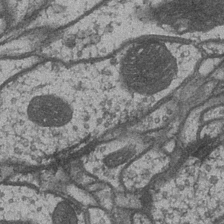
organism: Drosophila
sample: Optic medulla